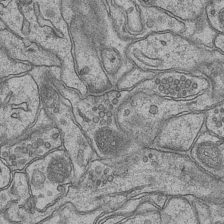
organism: Mouse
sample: CA1 Hippocampus